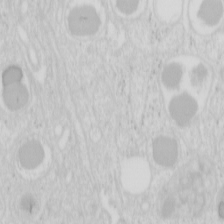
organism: Mouse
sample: Pancreas